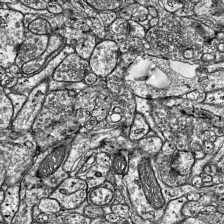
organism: Mouse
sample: Visual Cortex